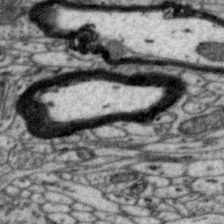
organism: Zebra finch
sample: Brain